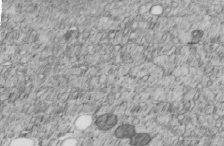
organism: C. elegans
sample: C. elegans embryo early stage